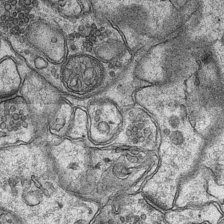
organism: Mouse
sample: CA1 Hippocampus